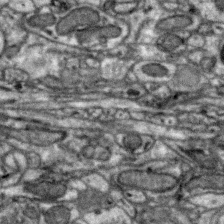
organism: Zebra finch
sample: Brain